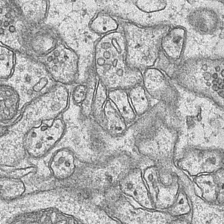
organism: Mouse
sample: CA1 Hippocampus